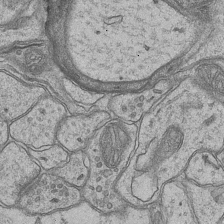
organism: Mouse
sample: CA1 Hippocampus